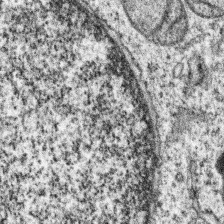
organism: Human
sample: HeLa cells